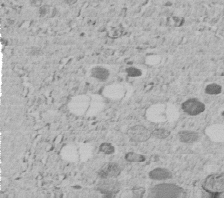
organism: C. elegans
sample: C. elegans embryo early stage